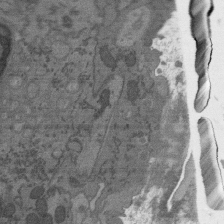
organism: C. elegans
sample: AFD neurons C. elegans